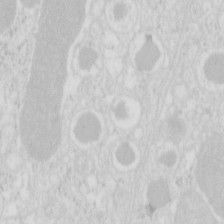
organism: Mouse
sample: Pancreas